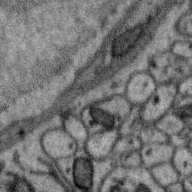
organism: Zebra finch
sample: Brain